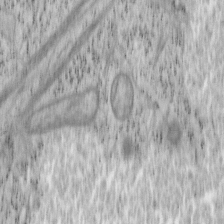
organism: Human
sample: HeLa cells